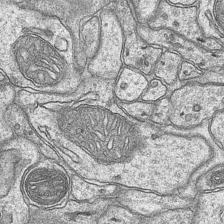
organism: Mouse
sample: CA1 Hippocampus